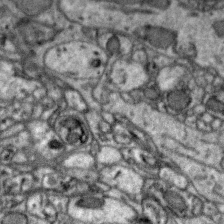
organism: Zebra finch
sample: Brain